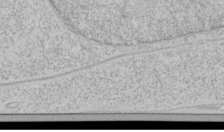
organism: Human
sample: Mitochondria in HCT116 cells